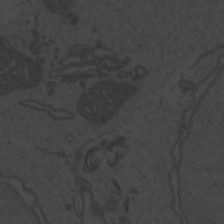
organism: Zebrafish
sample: Macrophage infected with Toxoplasma gondii